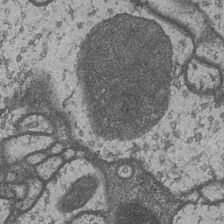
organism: Drosophila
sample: Optic medulla